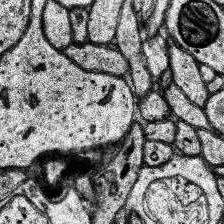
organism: Human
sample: Temporal Lobe